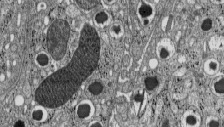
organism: C57BL Mouse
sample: Pancreatic islet